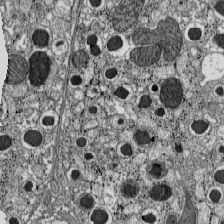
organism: C57BL Mouse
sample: Pancreatic islet